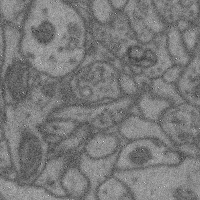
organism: Mouse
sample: Cerebral cortex